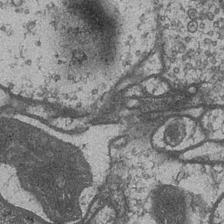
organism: Drosophila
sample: Optic medulla